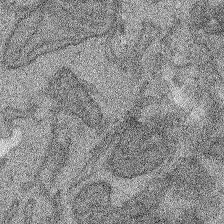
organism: Human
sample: HeLa cells